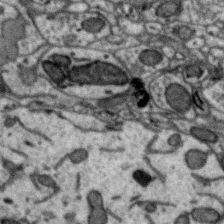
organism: Zebra finch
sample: Brain